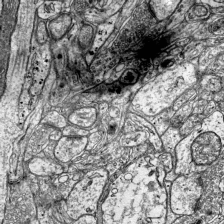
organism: Mouse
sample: Visual Cortex